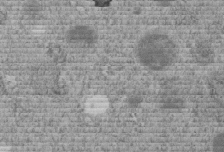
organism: C. elegans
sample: C. elegans embryo early stage